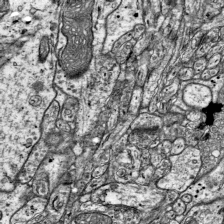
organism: Mouse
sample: Visual Cortex